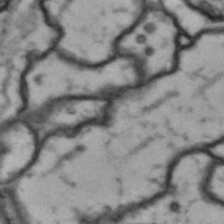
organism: Drosophila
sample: Brain